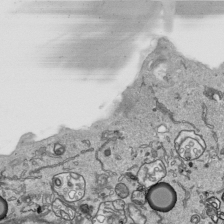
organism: Human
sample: Mitochondria in HCT116 cells